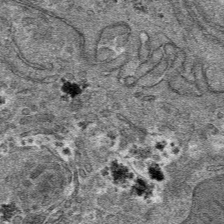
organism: Mouse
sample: Mouse hepatocytes